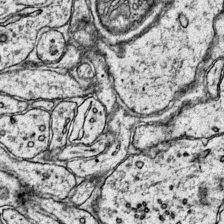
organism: Mouse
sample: Primary visual cortex